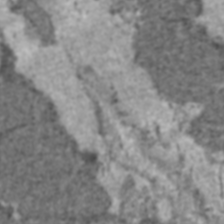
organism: C57BL Mouse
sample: Heart